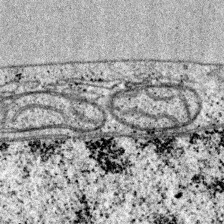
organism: Human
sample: HeLa cells